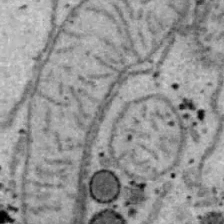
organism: Mouse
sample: Liver from an obese (ob/ob) mouse